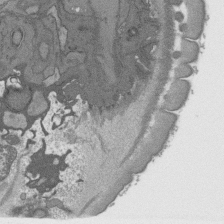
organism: C. elegans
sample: AFD neurons C. elegans